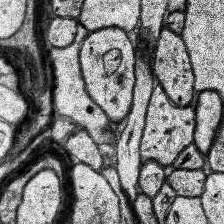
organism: Human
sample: Temporal Lobe